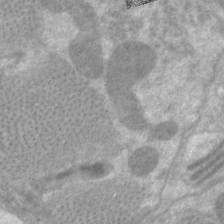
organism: C. elegans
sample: Pharynx